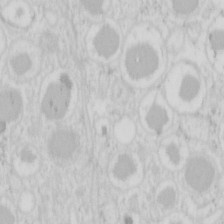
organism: Mouse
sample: Pancreas